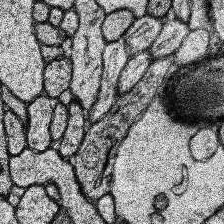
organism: Human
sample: Temporal Lobe